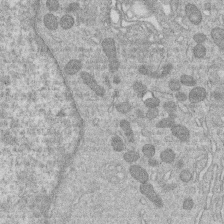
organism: Human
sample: Macrophage cells